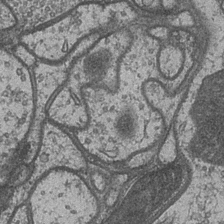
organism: Drosophila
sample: Optic medulla